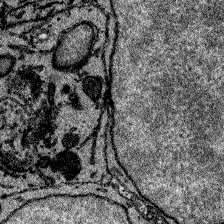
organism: Zebrafish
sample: Larval olfactory bulb